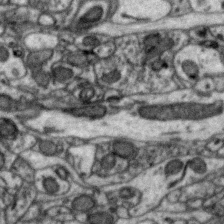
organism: Zebra finch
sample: Brain